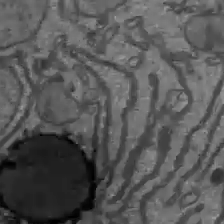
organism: C57BL Mouse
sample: Liver